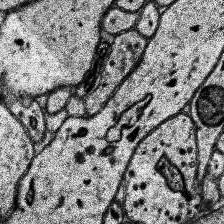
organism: Human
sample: Temporal Lobe